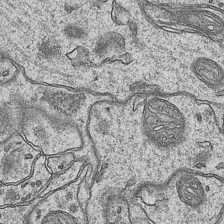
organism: Mouse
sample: CA1 Hippocampus